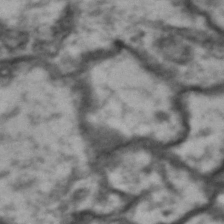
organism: Drosophila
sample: Brain